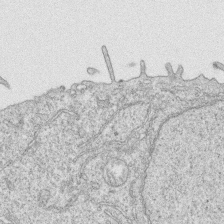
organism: Human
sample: HeLa cell HIV synapse